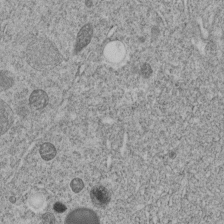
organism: C. elegans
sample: C. elegans embryo early stage